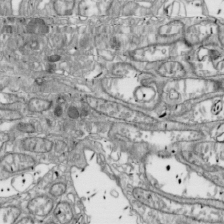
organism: Drosophila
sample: Cell division; meiosis; drosophila spermatocytes